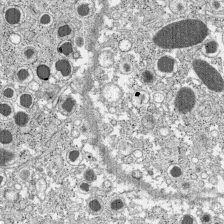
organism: C57BL Mouse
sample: Pancreatic islet